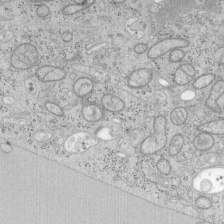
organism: Mouse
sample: OT-I killer T cells with ID8 ovarian cancer cells